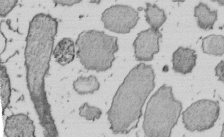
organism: E. coli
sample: Bacterial nucleoid